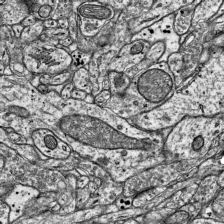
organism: Mouse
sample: Visual Cortex